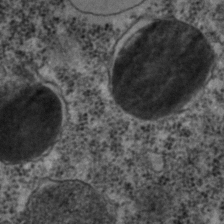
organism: C. elegans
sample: C. elegans embryo